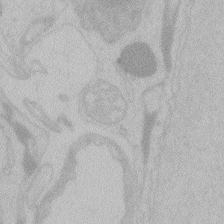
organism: Zebrafish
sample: Macrophage infected with Toxoplasma gondii